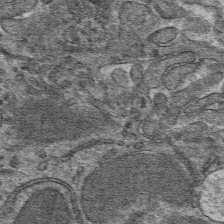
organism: Mouse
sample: Mouse hepatocytes